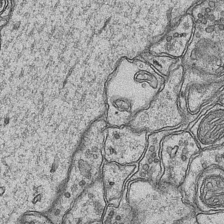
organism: Mouse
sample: CA1 Hippocampus